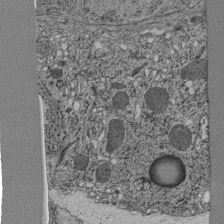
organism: C. elegans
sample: C. elegans pharynx